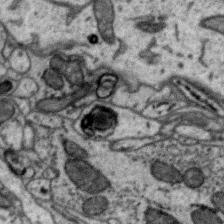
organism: Zebra finch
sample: Brain